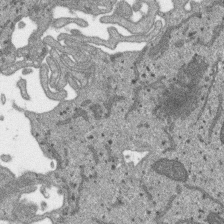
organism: Human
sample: Lung epithelial cells infected with SARS-CoV-2